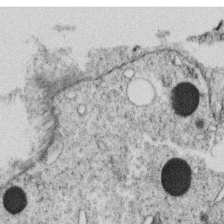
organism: C. elegans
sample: C. elegans oocyte; sperm cells